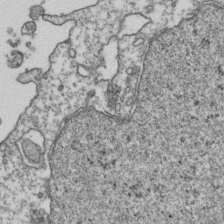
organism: Human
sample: Activated Jurkat CD4+ T cells